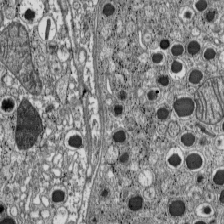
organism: C57BL Mouse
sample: Pancreatic islet